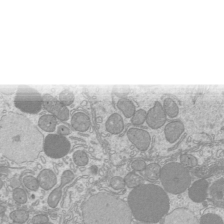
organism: Mouse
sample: Cilia; mouse epididymis